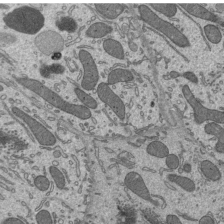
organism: Mouse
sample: Mouse epididymis efferent ductule cilia